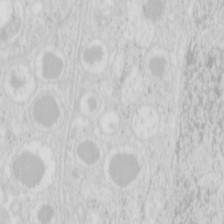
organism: Mouse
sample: Pancreas